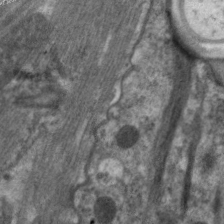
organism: C. elegans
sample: Pharynx